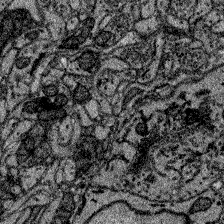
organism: Zebrafish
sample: Larval olfactory bulb